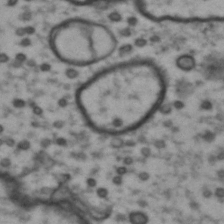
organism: Drosophila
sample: Brain